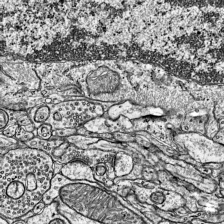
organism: Mouse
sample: Visual Cortex